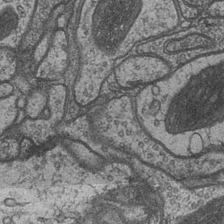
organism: Drosophila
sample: Optic medulla